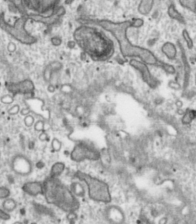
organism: Toxoplasma gondii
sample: Parasites in a vacuole inside a host cell